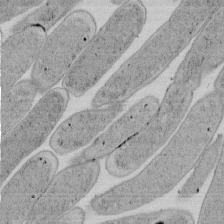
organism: E. coli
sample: Bacterial nucleoid